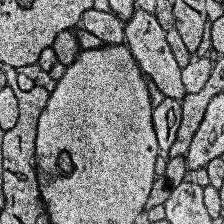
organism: Human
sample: Temporal Lobe